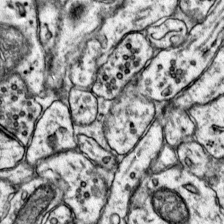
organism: Mouse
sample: Primary visual cortex